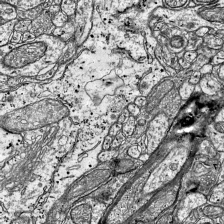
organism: Mouse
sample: Visual Cortex